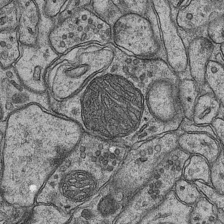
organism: Mouse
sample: CA1 Hippocampus